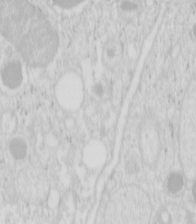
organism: Mouse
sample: Pancreas